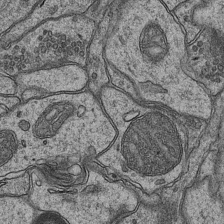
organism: Mouse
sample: CA1 Hippocampus